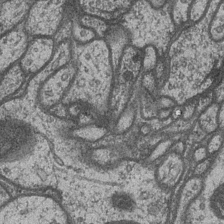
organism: Drosophila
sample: Optic medulla